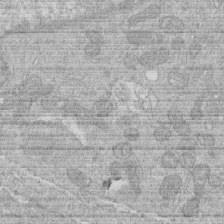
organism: Human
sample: Macrophage cells